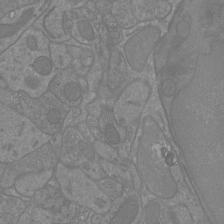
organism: Mouse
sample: Cortical neurons